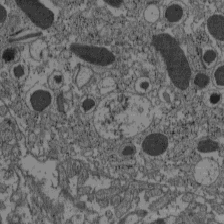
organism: C57BL Mouse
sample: Pancreatic islet